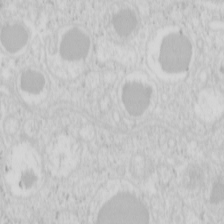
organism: Mouse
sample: Pancreas